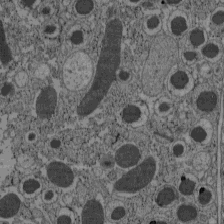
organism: C57BL Mouse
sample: Pancreatic islet